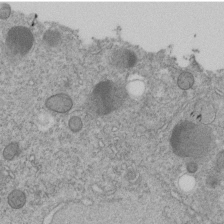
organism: C. elegans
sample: C. elegans embryo early stage